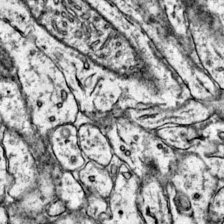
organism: Mouse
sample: Primary visual cortex